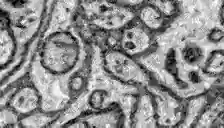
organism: Zebrafish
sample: Brain